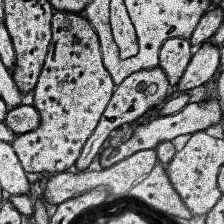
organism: Human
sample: Temporal Lobe